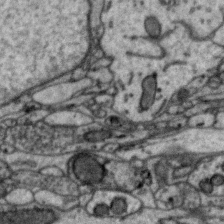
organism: Zebra finch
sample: Brain